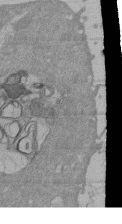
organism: Mouse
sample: ED-1 cell nuclei; centrioles